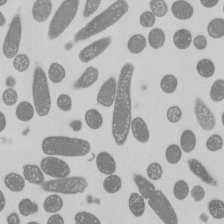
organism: E. coli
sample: Bacterial nucleoid